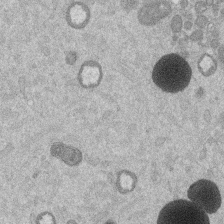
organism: Mouse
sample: Dividing mouse embryo 1 cell stage